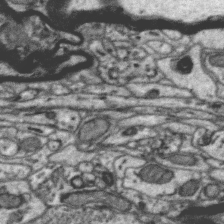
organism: Zebra finch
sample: Brain